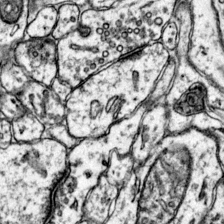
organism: Mouse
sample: Primary visual cortex